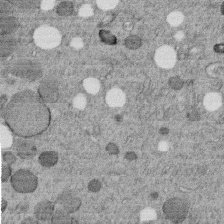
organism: C. elegans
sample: C. elegans embryo early stage